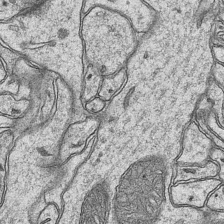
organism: Mouse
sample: CA1 Hippocampus